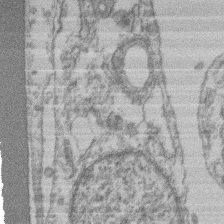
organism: Mouse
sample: T cell stromal cell synapse